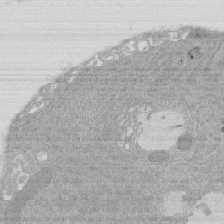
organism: Rat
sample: Salivary granule